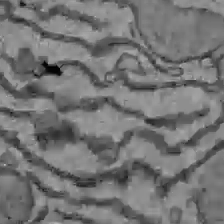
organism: C57BL Mouse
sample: Liver